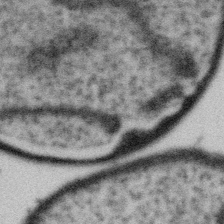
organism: Gemmata obscuriglobus